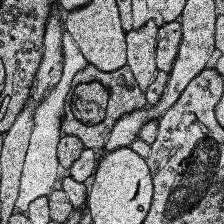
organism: Human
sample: Temporal Lobe